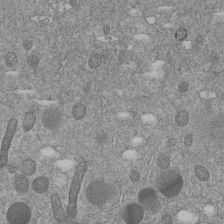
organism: C. elegans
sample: C. elegans embryo early stage